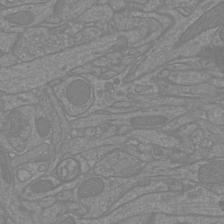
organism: Mouse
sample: Cortical neurons